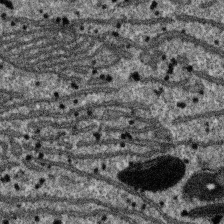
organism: Human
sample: Lung epithelial cells infected with SARS-CoV-2